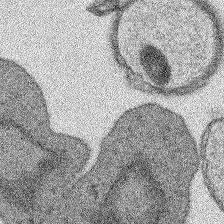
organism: Human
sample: HeLa cells